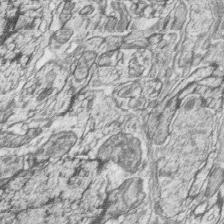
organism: Zebrafish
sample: synaptic ribbons in rod cells and cone cells